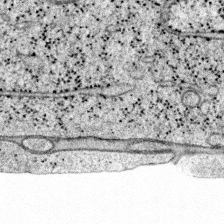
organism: Human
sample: HeLa cells